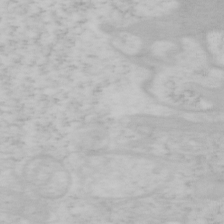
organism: Mouse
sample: OT-I killer T cells with ID8 ovarian cancer cells